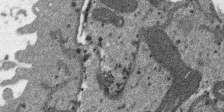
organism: Human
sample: Lung epithelial cells infected with SARS-CoV-2